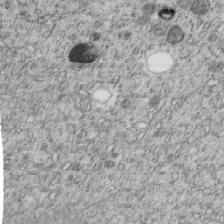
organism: C. elegans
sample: C. elegans embryo early stage